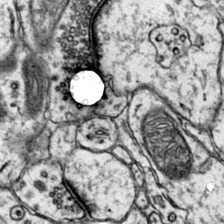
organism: Mouse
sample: Primary visual cortex